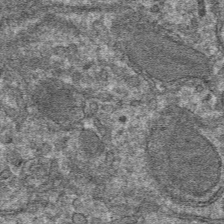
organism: Mouse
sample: Mouse hepatocytes